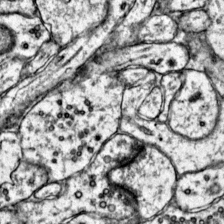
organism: Mouse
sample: Primary visual cortex